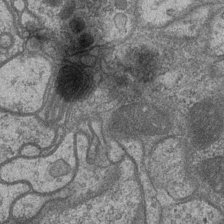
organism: Drosophila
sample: Optic medulla